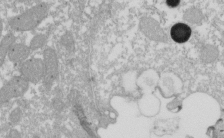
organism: Xenopus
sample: Cilia; centrioles in frog embryo cells